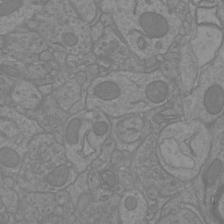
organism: Mouse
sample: Cortical neurons